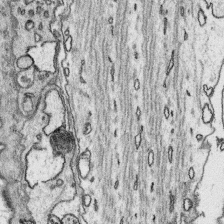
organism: Platynereis dumerilii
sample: Parapodia